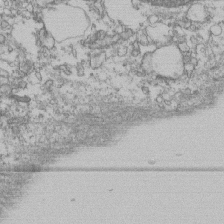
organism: Human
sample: Fibroblast cells